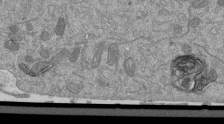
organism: Mouse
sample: ED-1 cell nuclei; centrioles